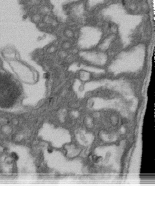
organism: Drosophila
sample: Nephrocyte